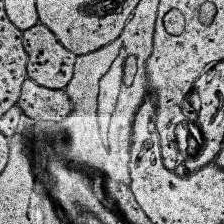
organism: Human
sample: Temporal Lobe